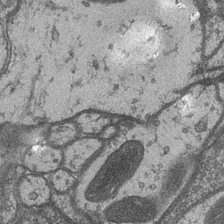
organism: Drosophila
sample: Optic medulla